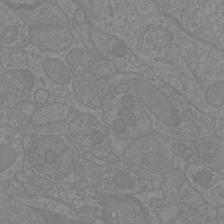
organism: Mouse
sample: Cortical neurons